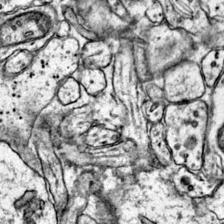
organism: Mouse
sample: Primary visual cortex